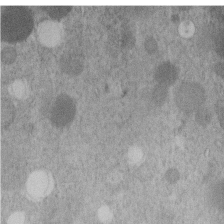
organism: C. elegans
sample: C. elegans embryo early stage